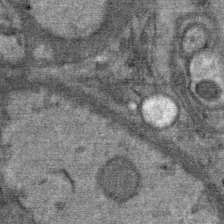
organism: Mouse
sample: Mouse Salivary gland